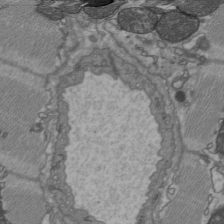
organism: C57BL Mouse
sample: Heart